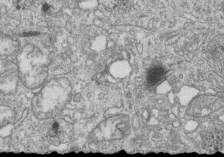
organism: Human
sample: HeLa cell HIV synapse